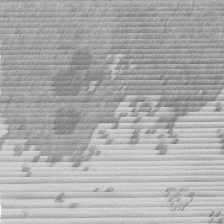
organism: Mouse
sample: Dividing mouse embryo 1 cell stage